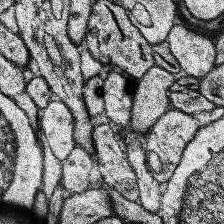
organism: Human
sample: Temporal Lobe